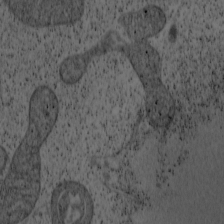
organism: African green monkey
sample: COS-7 cells